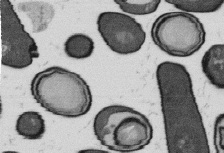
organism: B. subtilis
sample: Bacterial spore